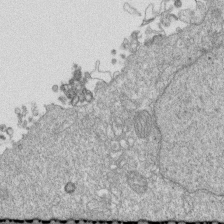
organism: Human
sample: HeLa cell HIV synapse